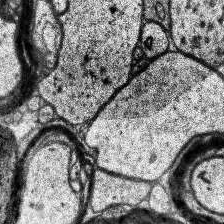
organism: Human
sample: Temporal Lobe